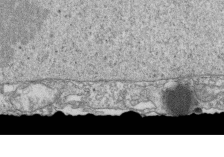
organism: Human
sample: HeLa cell HIV synapse